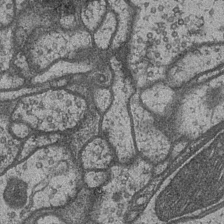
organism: Drosophila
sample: Optic medulla